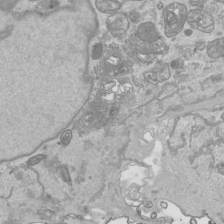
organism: Human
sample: Mitochondria in HCT116 cells